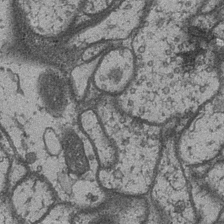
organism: Drosophila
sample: Optic medulla